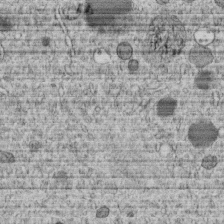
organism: C. elegans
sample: C. elegans embryo early stage